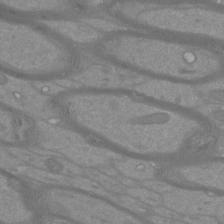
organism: Mouse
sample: Cortical neurons